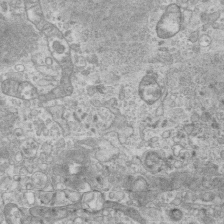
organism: Mouse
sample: Centriole in ependymal cells